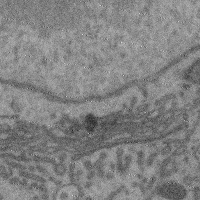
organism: Mouse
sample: Cerebral cortex